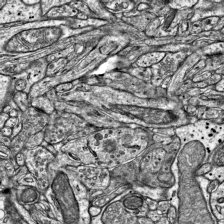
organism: Mouse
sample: Visual Cortex